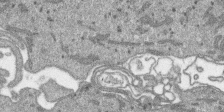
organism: Human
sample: Lung epithelial cells infected with SARS-CoV-2